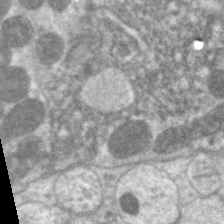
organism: C. elegans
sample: Pharynx